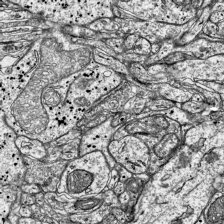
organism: Mouse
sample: Visual Cortex